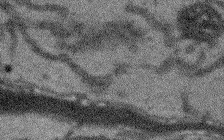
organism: Arabidopsis thaliana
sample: Root tip